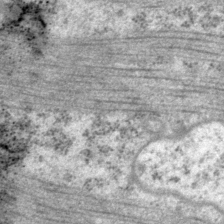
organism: P. pacificus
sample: Pharynx